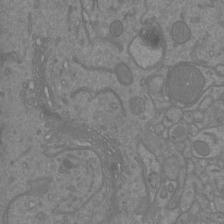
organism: Mouse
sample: Cortical neurons